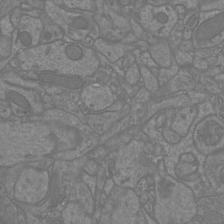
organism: Mouse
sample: Cortical neurons